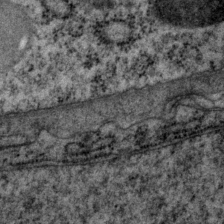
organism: P. pacificus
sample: Pharynx